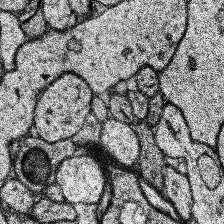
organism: Human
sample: Temporal Lobe